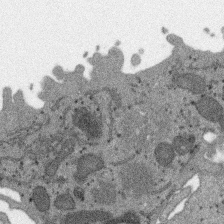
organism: Human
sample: Lung epithelial cells infected with SARS-CoV-2